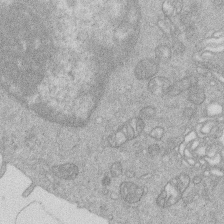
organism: Human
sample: Macrophage cells